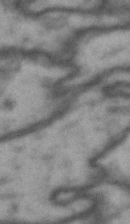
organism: Drosophila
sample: Brain